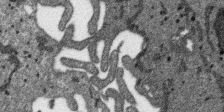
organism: Human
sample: Lung epithelial cells infected with SARS-CoV-2